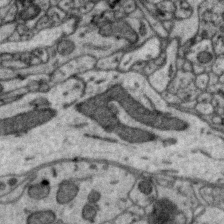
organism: Zebra finch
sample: Brain